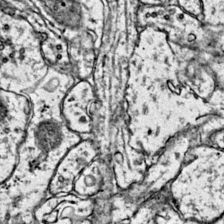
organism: Mouse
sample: Primary visual cortex